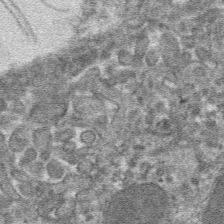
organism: Mouse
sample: Mouse hepatocytes